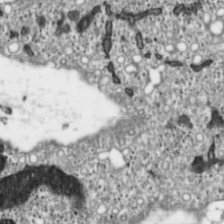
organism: Toxoplasma gondii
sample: Parasites in a vacuole inside a host cell